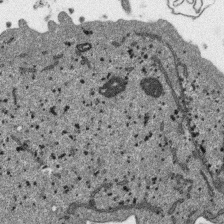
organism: Human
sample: Lung epithelial cells infected with SARS-CoV-2